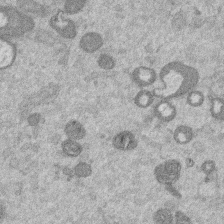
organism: Mouse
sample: Dividing mouse embryo 1 cell stage